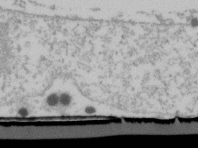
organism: Human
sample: U2-OS cells